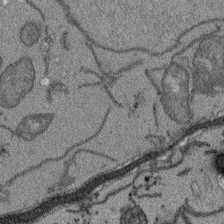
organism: Arabidopsis thaliana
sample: Root tip